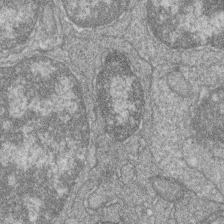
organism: Zebrafish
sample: Cilia; retinal pigment epithelium